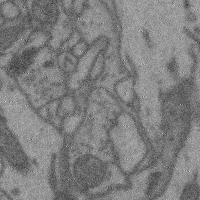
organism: Mouse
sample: Cerebral cortex